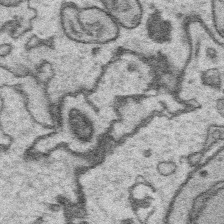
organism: Platynereis dumerilii